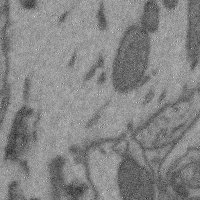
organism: Mouse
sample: Cerebral cortex